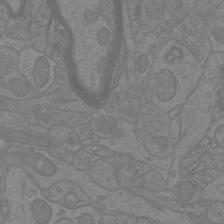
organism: Mouse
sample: Cortical neurons